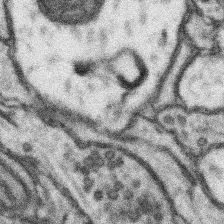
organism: Mouse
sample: Somatosensory cortex neuropil